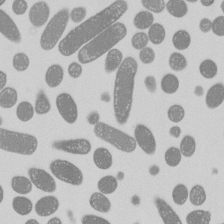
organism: E. coli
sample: Bacterial nucleoid